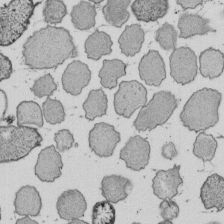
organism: E. coli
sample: Bacterial nucleoid